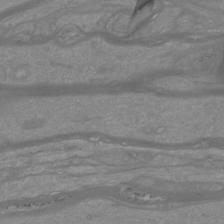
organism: Mouse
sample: Cortical neurons